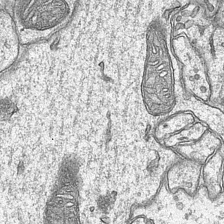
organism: Mouse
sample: CA1 Hippocampus